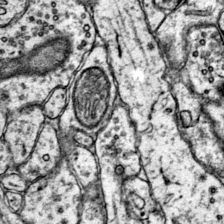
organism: Mouse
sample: Primary visual cortex